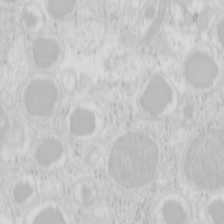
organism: Mouse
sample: Pancreas